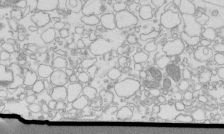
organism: Mouse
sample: Macrophages